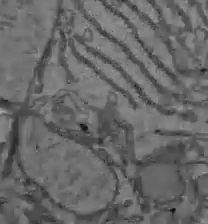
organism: C57BL Mouse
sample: Liver